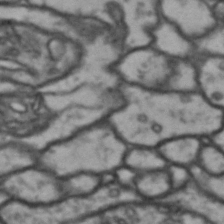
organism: Drosophila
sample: Brain